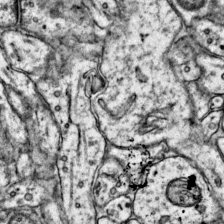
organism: Mouse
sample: Primary visual cortex